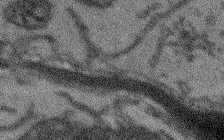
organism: Arabidopsis thaliana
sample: Root tip